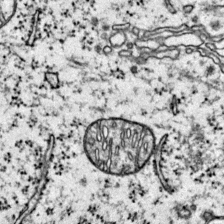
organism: Mouse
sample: Primary visual cortex